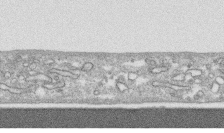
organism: Human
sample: CRL-1474